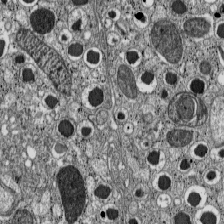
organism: C57BL Mouse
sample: Pancreatic islet